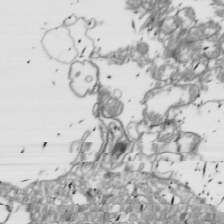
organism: Drosophila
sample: Cell division; meiosis; drosophila spermatocytes